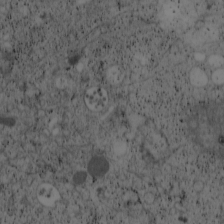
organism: African green monkey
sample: COS-7 cells